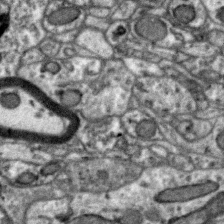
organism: Zebra finch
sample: Brain